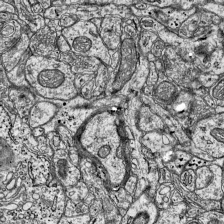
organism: Mouse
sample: Visual Cortex